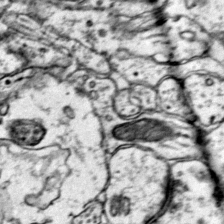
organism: Mouse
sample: Primary visual cortex